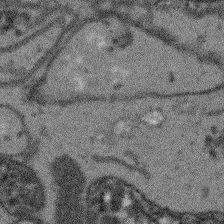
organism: Arabidopsis thaliana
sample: Root tip